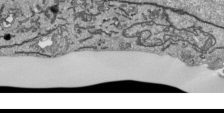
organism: Human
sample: Mitochondria in HCT116 cells